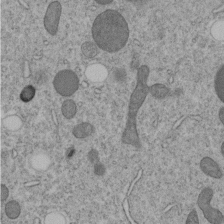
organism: C. elegans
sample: C. elegans embryo early stage